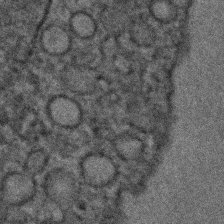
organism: C. elegans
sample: C. elegans embryo